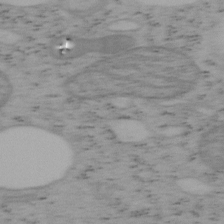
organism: Mouse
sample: OT-I killer T cells with ID8 ovarian cancer cells